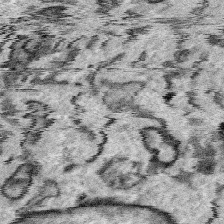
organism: Human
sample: HeLa cells